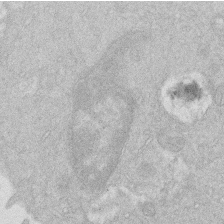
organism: Human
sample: Macrophage cells